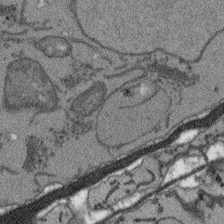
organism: Arabidopsis thaliana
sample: Root tip